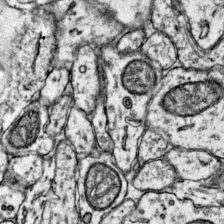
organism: Mouse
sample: Primary visual cortex